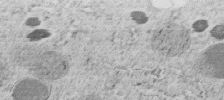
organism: C. elegans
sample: C. elegans embryo early stage